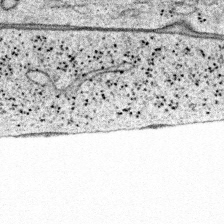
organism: Human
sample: HeLa cells